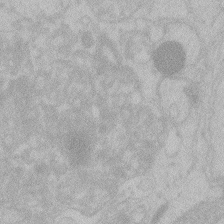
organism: Zebrafish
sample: Macrophage infected with Toxoplasma gondii